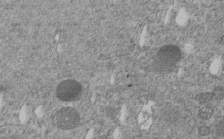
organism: C. elegans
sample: C. elegans embryo early stage